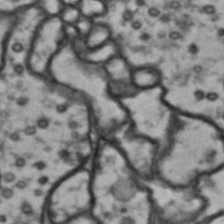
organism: Drosophila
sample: Brain